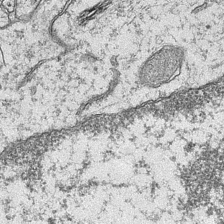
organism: Mouse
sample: CA1 Hippocampus